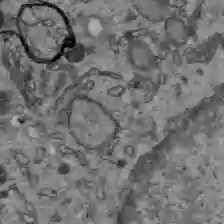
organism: C57BL Mouse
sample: Liver